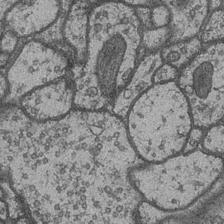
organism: Drosophila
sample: Optic medulla